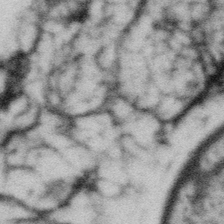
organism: Gemmata obscuriglobus